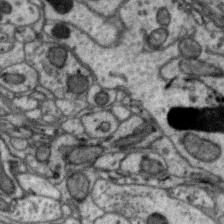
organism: Zebra finch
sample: Brain